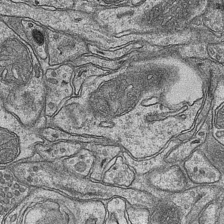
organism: Mouse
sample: CA1 Hippocampus